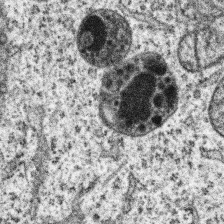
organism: Human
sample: HeLa cells